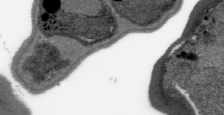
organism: Plasmodium falciparum